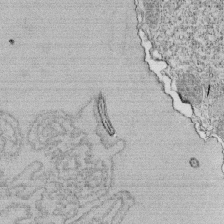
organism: Tetrahymena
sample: Cilia in tetrahymena